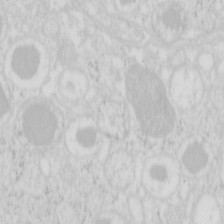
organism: Mouse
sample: Pancreas